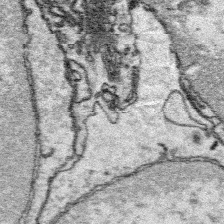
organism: Platynereis dumerilii